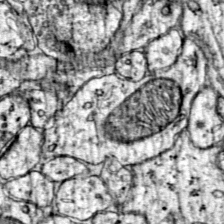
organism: Mouse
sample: Primary visual cortex